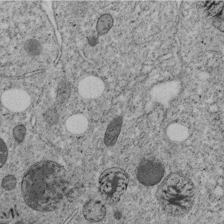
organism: C. elegans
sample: C. elegans embryo early stage